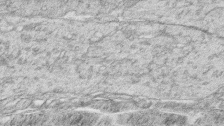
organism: Zebrafish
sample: synaptic ribbons in rod cells and cone cells